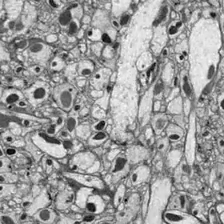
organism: Drosophila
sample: Optic lobe